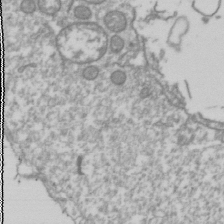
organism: Drosophila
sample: Cell division; meiosis; drosophila spermatocytes